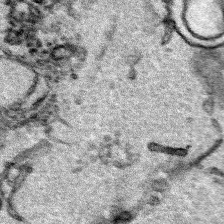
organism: Human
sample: Mitochondria in HCT116 cells